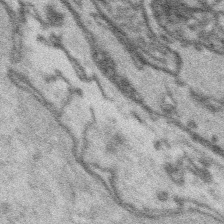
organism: Platynereis dumerilii